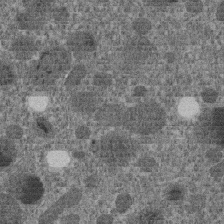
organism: C. elegans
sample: C. elegans embryo early stage